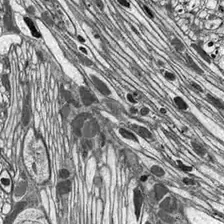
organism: Drosophila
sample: Optic lobe